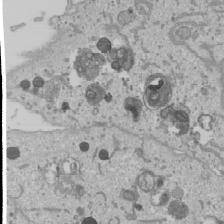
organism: Human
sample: Mitochondria in U2OS cells